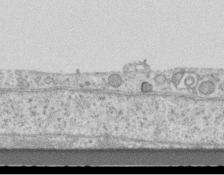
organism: Mouse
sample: Centriole in ependymal cells